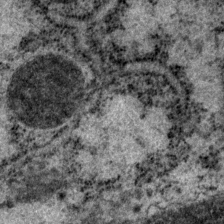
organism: P. pacificus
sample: Pharynx